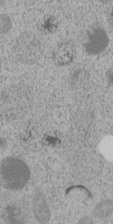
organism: C. elegans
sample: C. elegans embryo early stage